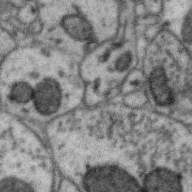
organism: Zebra finch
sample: Brain